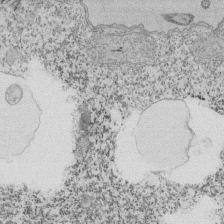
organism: Tetrahymena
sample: Cilia in tetrahymena